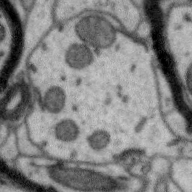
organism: Zebra finch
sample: Brain